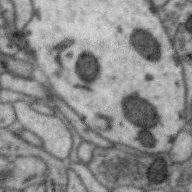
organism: Zebra finch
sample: Brain